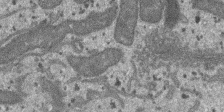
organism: Human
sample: Lung epithelial cells infected with SARS-CoV-2